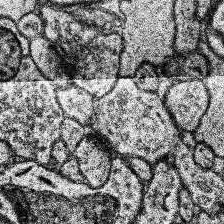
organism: Human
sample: Temporal Lobe